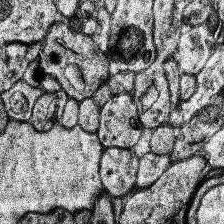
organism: Human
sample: Temporal Lobe